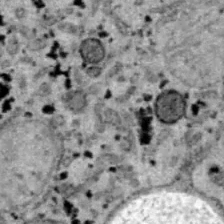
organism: Mouse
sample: Liver from an obese (ob/ob) mouse